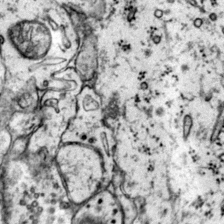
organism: Mouse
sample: Primary visual cortex